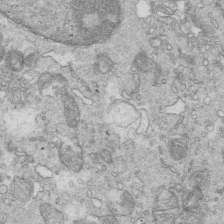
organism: Mouse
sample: Multiciliated cells